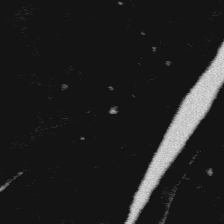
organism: Platynereis dumerilii